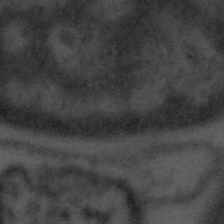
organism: Tuwongella immobilis